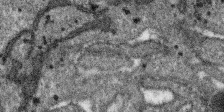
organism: Human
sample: Lung epithelial cells infected with SARS-CoV-2